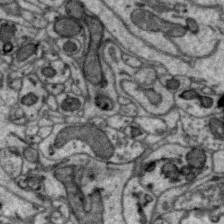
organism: Zebra finch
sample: Brain